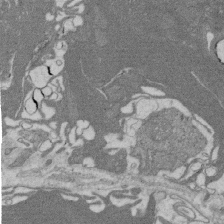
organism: Rat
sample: Salivary granule